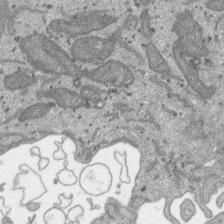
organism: Human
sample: Lung epithelial cells infected with SARS-CoV-2